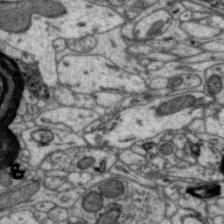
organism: Zebra finch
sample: Brain